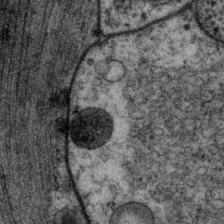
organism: P. pacificus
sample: Pharynx